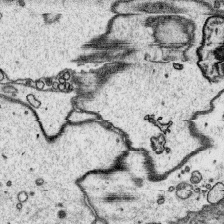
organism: Platynereis dumerilii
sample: Parapodia